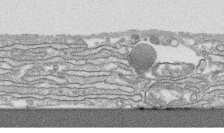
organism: Human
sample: CRL-1474